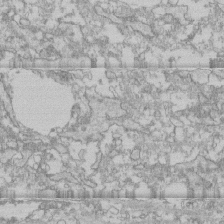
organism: Human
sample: CRL-1474